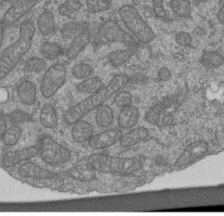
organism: Human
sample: Retinal organoid Rod and Cone cells